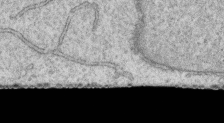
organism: Human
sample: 1205lu cells